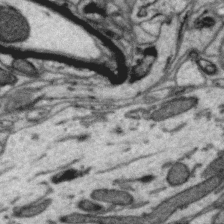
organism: Zebra finch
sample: Brain